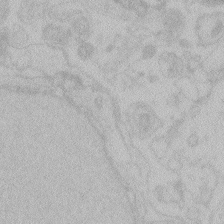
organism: Zebrafish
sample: Macrophage infected with Toxoplasma gondii